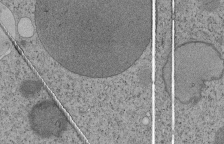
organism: Tetrahymena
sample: Cilia in tetrahymena